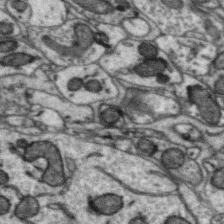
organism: Zebra finch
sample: Brain